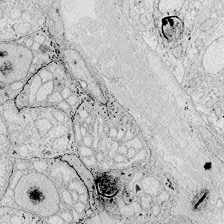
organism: Zebrafish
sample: Whole-Brain